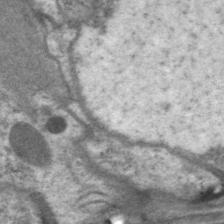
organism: C. elegans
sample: Pharynx